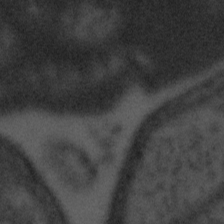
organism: Tuwongella immobilis